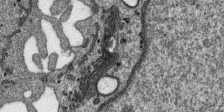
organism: Human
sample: Lung epithelial cells infected with SARS-CoV-2